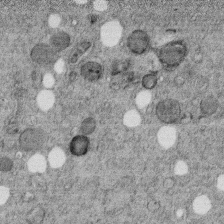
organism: C. elegans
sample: C. elegans embryo early stage